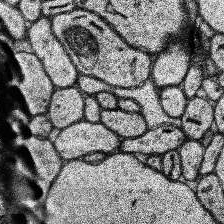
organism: Human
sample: Temporal Lobe